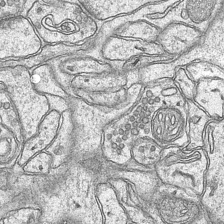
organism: Mouse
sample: CA1 Hippocampus